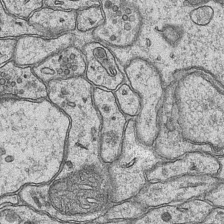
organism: Mouse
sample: CA1 Hippocampus